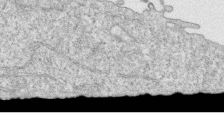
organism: Human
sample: HeLa cell HIV synapse